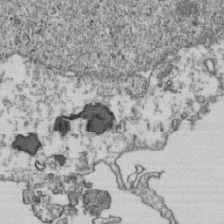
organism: Human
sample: Activated Jurkat CD4+ T cells